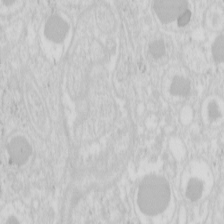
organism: Mouse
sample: Pancreas